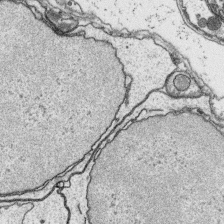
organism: Platynereis dumerilii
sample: Parapodia